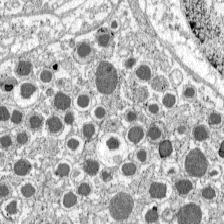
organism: C57BL Mouse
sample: Pancreatic islet